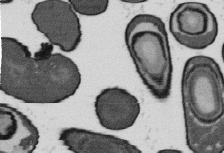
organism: B. subtilis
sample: Bacterial spore